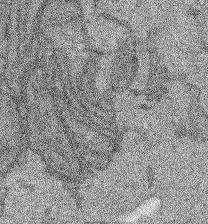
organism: Human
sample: HeLa cells